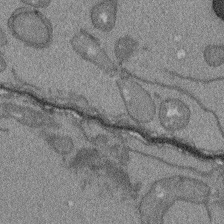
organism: Arabidopsis thaliana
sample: Root tip